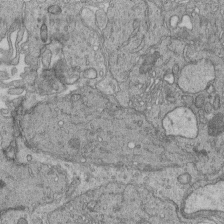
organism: Human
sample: Retinal organoid Rod and Cone cells